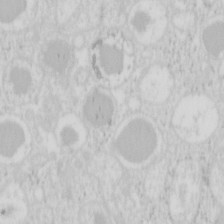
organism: Mouse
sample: Pancreas